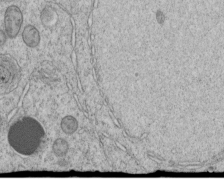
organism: C. elegans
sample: C. elegans embryo early stage